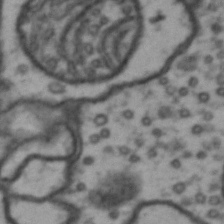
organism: Drosophila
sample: Brain